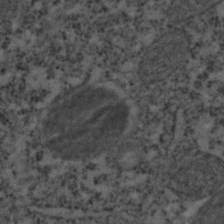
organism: C. elegans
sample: C. elegans embryo